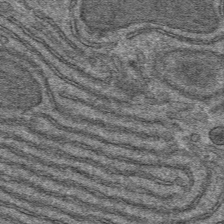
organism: Mouse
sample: Mouse hepatocytes